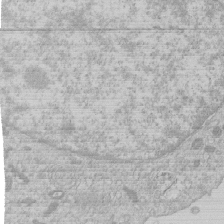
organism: Human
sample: Macrophage cells